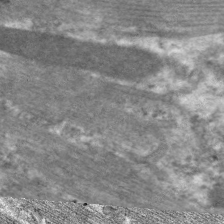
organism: C. elegans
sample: Pharynx